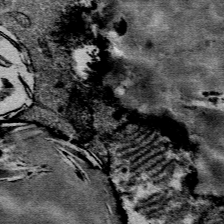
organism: Mouse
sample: Mouse Salivary gland